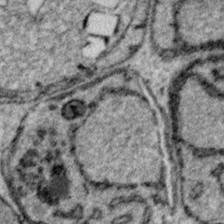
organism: Plasmodium falciparum